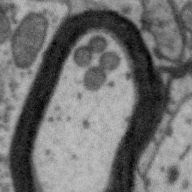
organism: Zebra finch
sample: Brain